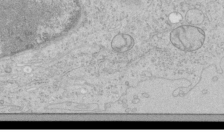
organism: Human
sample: Mitochondria in HCT116 cells